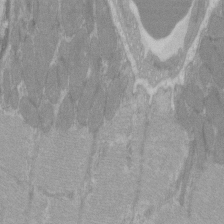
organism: C57BL Mouse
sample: Tibialis anterior muscle cell